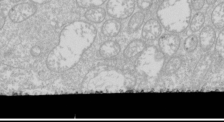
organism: Drosophila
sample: Cell division; meiosis; drosophila spermatocytes